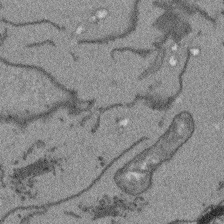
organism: Arabidopsis thaliana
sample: Root tip